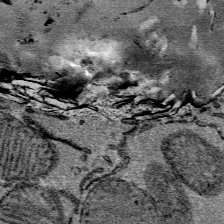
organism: Mouse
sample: Mouse Salivary gland